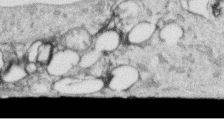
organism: Human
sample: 1205lu cells